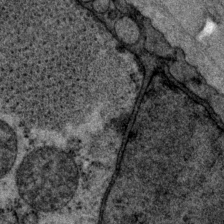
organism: P. pacificus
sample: Pharynx